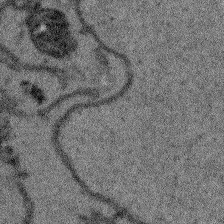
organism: Arabidopsis thaliana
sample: Root tip